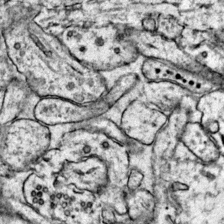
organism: Mouse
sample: Primary visual cortex